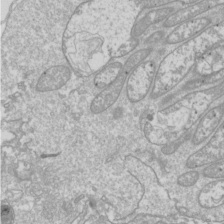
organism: Drosophila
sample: Cell division; meiosis; drosophila spermatocytes